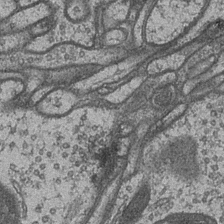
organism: Drosophila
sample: Optic medulla